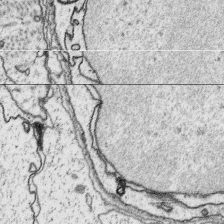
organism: Platynereis dumerilii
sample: Parapodia